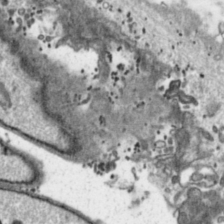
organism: Toxoplasma gondii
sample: Parasites in a vacuole inside a host cell